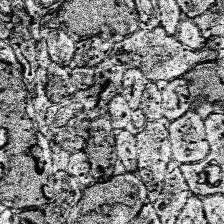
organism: Human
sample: Temporal Lobe